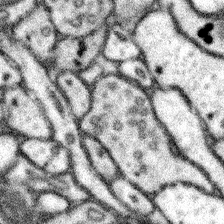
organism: Mouse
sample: Somatosensory cortex neuropil